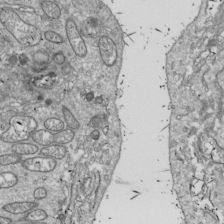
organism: Drosophila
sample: Cell division; meiosis; drosophila spermatocytes